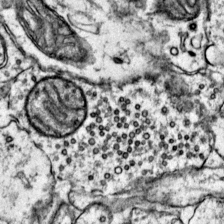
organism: Mouse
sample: Primary visual cortex